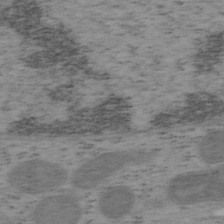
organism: Mouse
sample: OT-I killer T cells with ID8 ovarian cancer cells